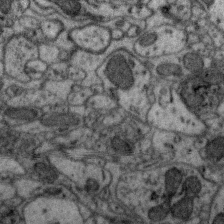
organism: Zebra finch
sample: Brain